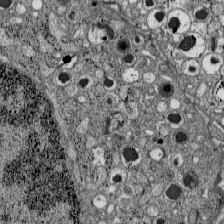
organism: C57BL Mouse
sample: Pancreatic islet